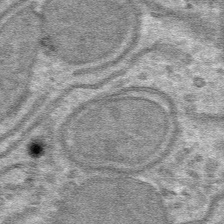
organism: Mouse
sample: Mouse hepatocytes